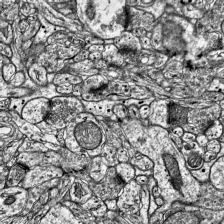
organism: Mouse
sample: Visual Cortex